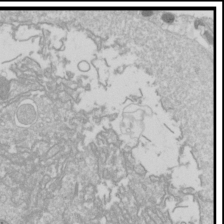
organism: Drosophila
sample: Cell division; meiosis; drosophila spermatocytes